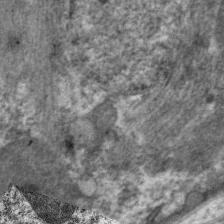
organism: C. elegans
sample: Pharynx